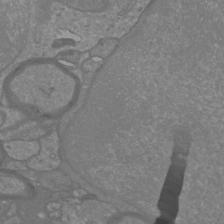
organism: Mouse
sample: Cortical neurons